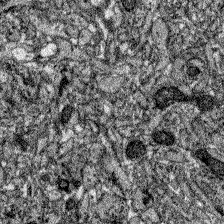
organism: Zebrafish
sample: Larval olfactory bulb